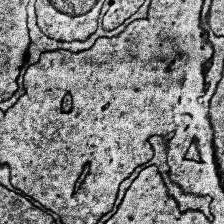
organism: Human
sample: Temporal Lobe